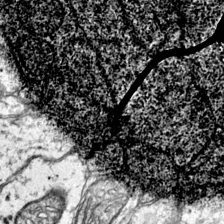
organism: Mouse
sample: Primary visual cortex